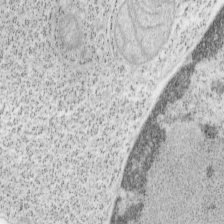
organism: Mouse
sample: OT-I killer T cells with ID8 ovarian cancer cells